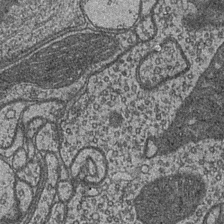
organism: Drosophila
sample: Optic medulla